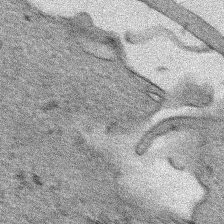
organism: Human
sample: Mitochondria in HCT116 cells